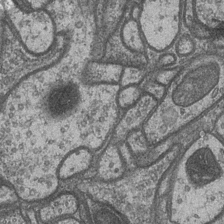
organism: Drosophila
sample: Optic medulla